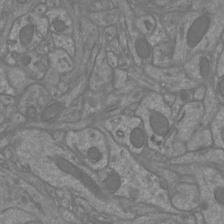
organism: Mouse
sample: Cortical neurons